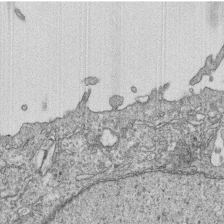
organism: Human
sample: HeLa cell HIV synapse